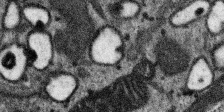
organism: Human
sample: Lung epithelial cells infected with SARS-CoV-2